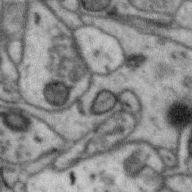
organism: Zebra finch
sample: Brain